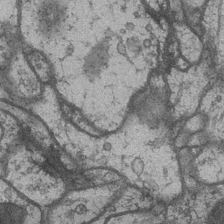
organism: Drosophila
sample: Optic medulla